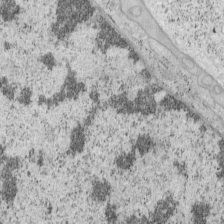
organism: Mouse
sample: OT-I killer T cells with ID8 ovarian cancer cells